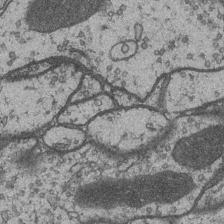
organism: Drosophila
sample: Optic medulla